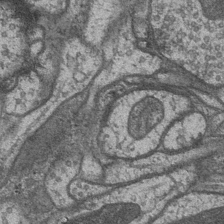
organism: Drosophila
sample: Optic medulla